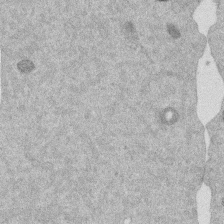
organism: Mouse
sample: Dividing mouse embryo 1 cell stage